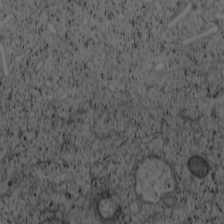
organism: African green monkey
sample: COS-7 cells